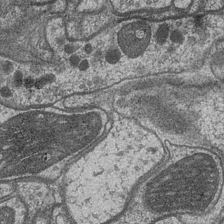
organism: Drosophila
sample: Optic medulla